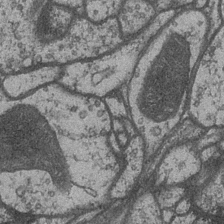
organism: Drosophila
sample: Optic medulla